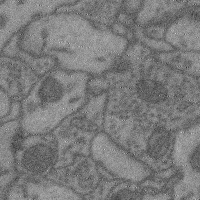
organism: Mouse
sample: Cerebral cortex